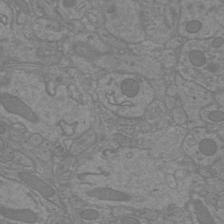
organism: Mouse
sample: Cortical neurons